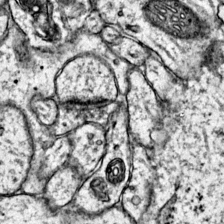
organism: Mouse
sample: Primary visual cortex